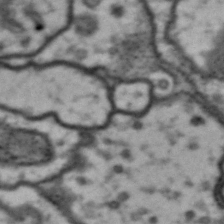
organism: Drosophila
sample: Brain